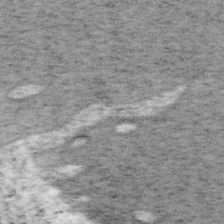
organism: Mouse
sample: OT-I killer T cells with ID8 ovarian cancer cells